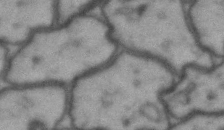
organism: Drosophila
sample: Brain